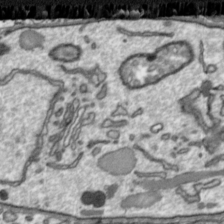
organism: Toxoplasma gondii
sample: Parasites in a vacuole inside a host cell